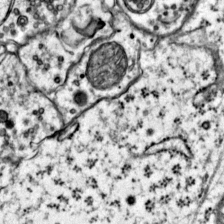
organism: Mouse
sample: Primary visual cortex